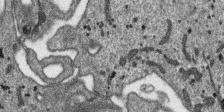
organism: Human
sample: Lung epithelial cells infected with SARS-CoV-2